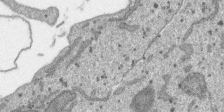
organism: Human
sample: Lung epithelial cells infected with SARS-CoV-2